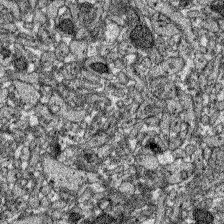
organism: Zebrafish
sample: Larval olfactory bulb